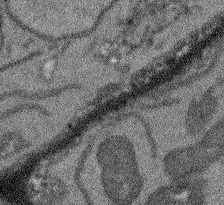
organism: Arabidopsis thaliana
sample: Root tip